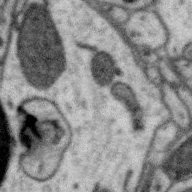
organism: Zebra finch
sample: Brain